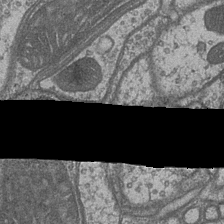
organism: Drosophila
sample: Optic medulla